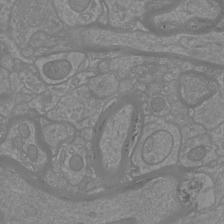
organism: Mouse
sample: Cortical neurons